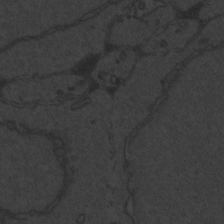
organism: Zebrafish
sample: Macrophage infected with Toxoplasma gondii